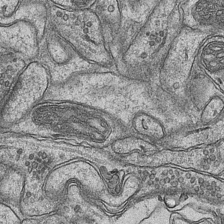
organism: Mouse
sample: CA1 Hippocampus